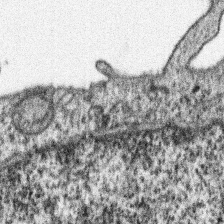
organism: Human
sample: HeLa cells